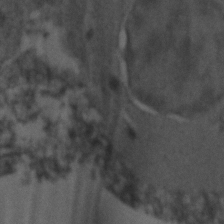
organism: Zebrafish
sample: Zebrafish embryo